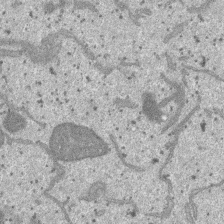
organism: Human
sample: Lung epithelial cells infected with SARS-CoV-2